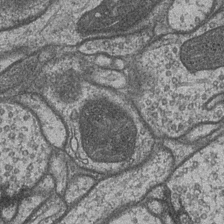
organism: Drosophila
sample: Optic medulla